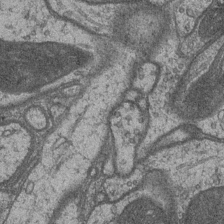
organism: Drosophila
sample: Optic medulla